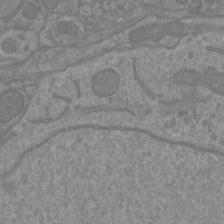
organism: Mouse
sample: Cortical neurons